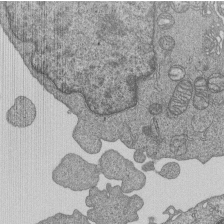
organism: Human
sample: MDA-MB-231 cells